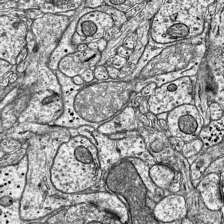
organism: Mouse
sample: Visual Cortex